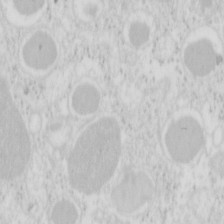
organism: Mouse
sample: Pancreas